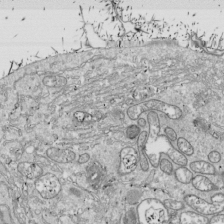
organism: Drosophila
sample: Cell division; meiosis; drosophila spermatocytes